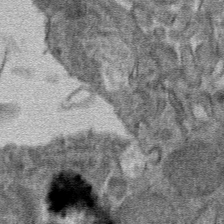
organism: Mouse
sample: Mouse hepatocytes